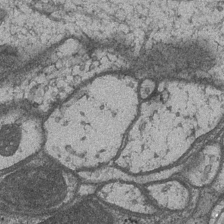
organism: Drosophila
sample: Optic medulla